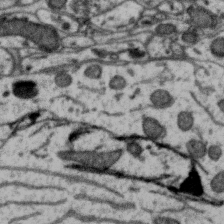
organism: Zebra finch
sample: Brain